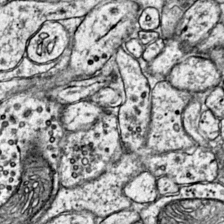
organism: Mouse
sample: Primary visual cortex